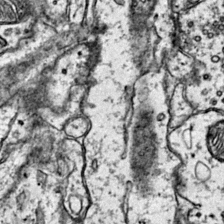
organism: Mouse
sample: Primary visual cortex